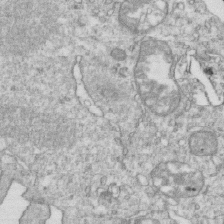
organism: Mouse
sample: Activated OT-1 CD8+ T cells